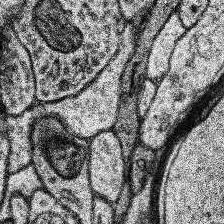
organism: Human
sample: Temporal Lobe